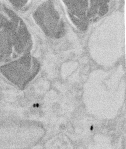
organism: Mouse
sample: T cell stromal cell synapse